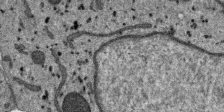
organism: Human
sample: Lung epithelial cells, uninfected (mock) control